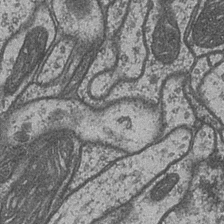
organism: Drosophila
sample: Optic medulla